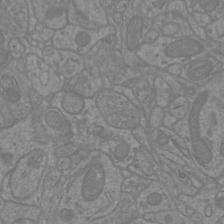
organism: Mouse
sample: Cortical neurons